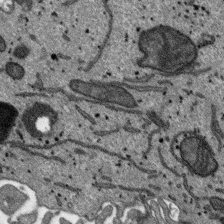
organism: Human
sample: Lung epithelial cells, uninfected (mock) control